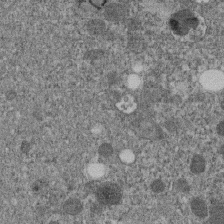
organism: C. elegans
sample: C. elegans embryo early stage